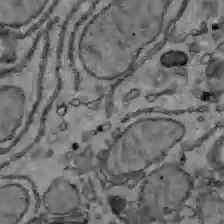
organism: C57BL Mouse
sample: Liver